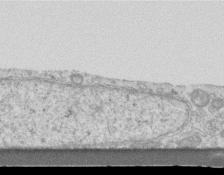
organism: Mouse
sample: Centriole in ependymal cells